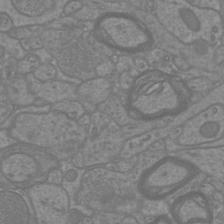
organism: Mouse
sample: Cortical neurons